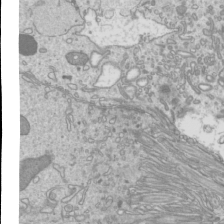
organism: Mouse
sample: Cilia; mouse epididymis